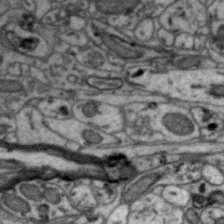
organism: Zebra finch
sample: Brain